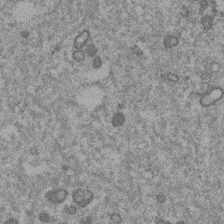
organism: Mouse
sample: Dividing mouse embryo 1 cell stage